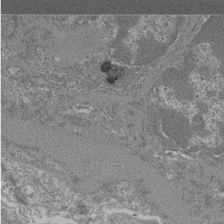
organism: Mouse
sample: Glomerulus